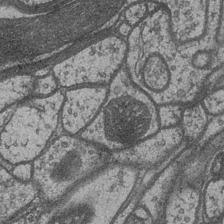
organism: Drosophila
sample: Optic medulla